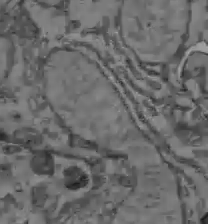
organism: C57BL Mouse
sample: Liver